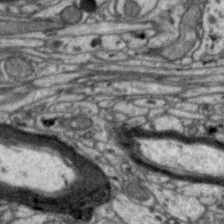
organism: Zebra finch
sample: Brain